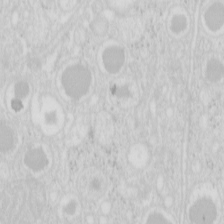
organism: Mouse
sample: Pancreas